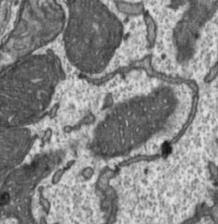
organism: Toxoplasma gondii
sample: Parasites in a vacuole inside a host cell